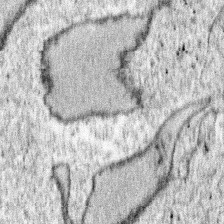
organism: Human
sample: HeLa cells